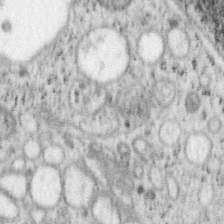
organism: Mouse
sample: OT-I killer T cells with ID8 ovarian cancer cells